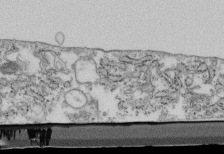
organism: Mouse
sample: Cilia; retinal pigment epithelium